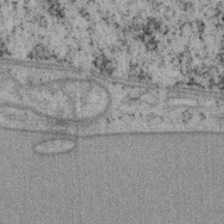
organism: Human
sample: HeLa cells